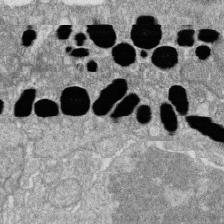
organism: Zebrafish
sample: Cilia; retinal pigment epithelium